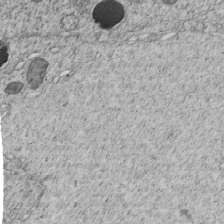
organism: C. elegans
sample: C. elegans embryo early stage